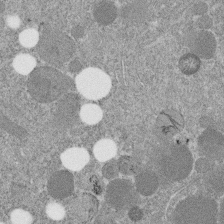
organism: C. elegans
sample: C. elegans embryo early stage